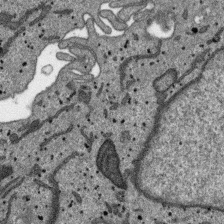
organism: Human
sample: Lung epithelial cells, uninfected (mock) control